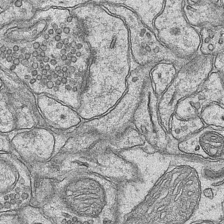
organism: Mouse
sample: CA1 Hippocampus